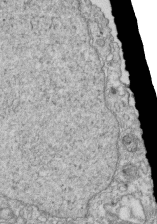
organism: Human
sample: HeLa cell HIV synapse